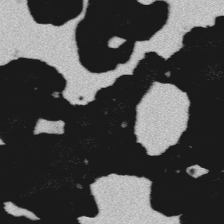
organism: Platynereis dumerilii